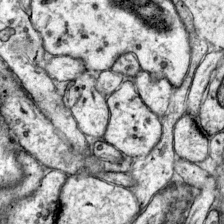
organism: Mouse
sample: Primary visual cortex